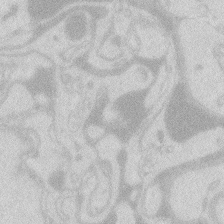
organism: Zebrafish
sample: Macrophage